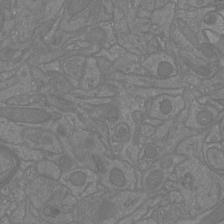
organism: Mouse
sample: Cortical neurons